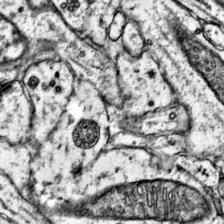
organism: Mouse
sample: Primary visual cortex